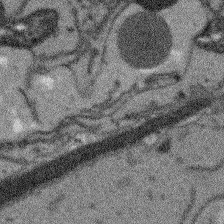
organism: Arabidopsis thaliana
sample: Root tip